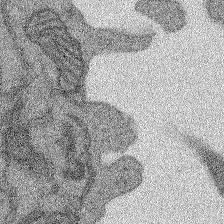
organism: Human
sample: HeLa cells